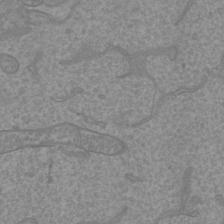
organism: Mouse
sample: Cortical neurons